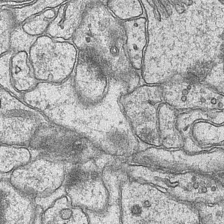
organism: Mouse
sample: CA1 Hippocampus